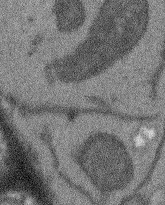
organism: Arabidopsis thaliana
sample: Root tip